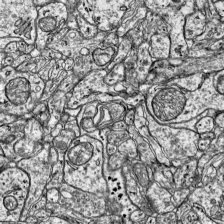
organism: Mouse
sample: Visual Cortex